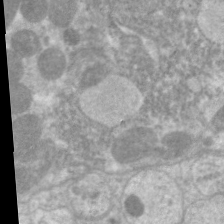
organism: C. elegans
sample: Pharynx